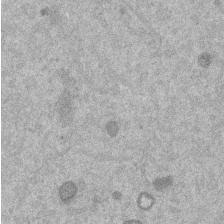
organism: Mouse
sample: Dividing mouse embryo 1 cell stage